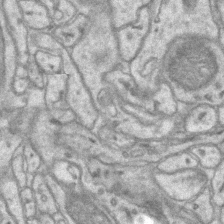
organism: Mouse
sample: CA1 Hippocampus